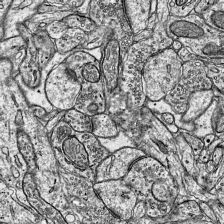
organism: Mouse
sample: Visual Cortex